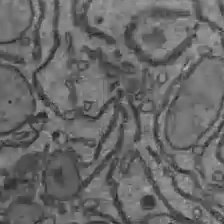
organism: C57BL Mouse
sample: Liver